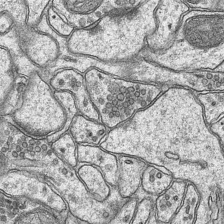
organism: Mouse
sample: CA1 Hippocampus